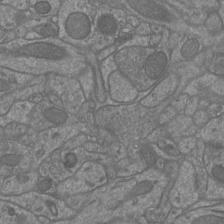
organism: Mouse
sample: Cortical neurons